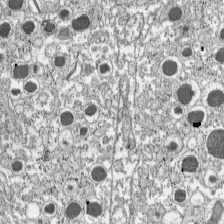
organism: C57BL Mouse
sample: Pancreatic islet